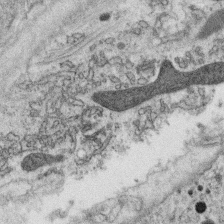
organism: C. elegans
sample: C. elegans oocyte; sperm cells